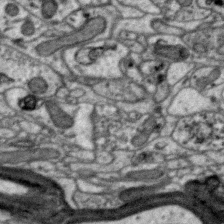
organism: Zebra finch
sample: Brain